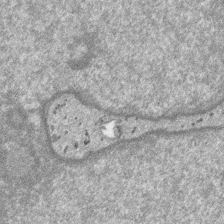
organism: Human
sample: Lung epithelial cells infected with SARS-CoV-2